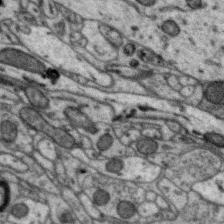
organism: Zebra finch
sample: Brain